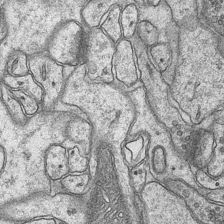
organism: Mouse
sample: CA1 Hippocampus